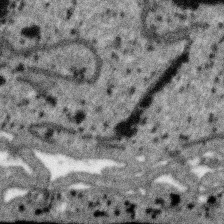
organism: Human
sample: Lung epithelial cells infected with SARS-CoV-2